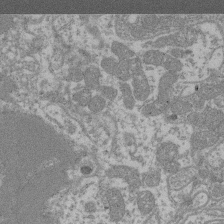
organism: Mouse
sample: Glomerulus